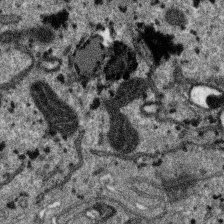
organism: Human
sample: Lung epithelial cells infected with SARS-CoV-2